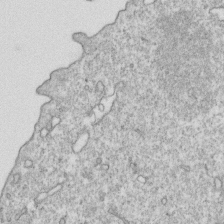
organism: Mouse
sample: Activated OT-1 CD8+ T cells